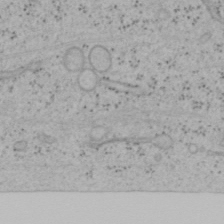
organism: Human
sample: HeLa cells